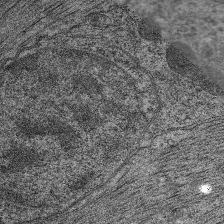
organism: C. elegans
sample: Pharynx